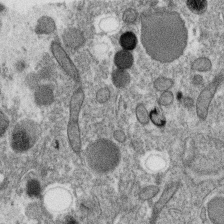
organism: C. elegans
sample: C. elegans oocyte; sperm cells